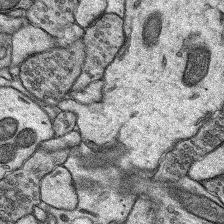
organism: Rat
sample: Hippocampus